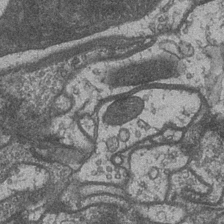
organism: Drosophila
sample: Optic medulla